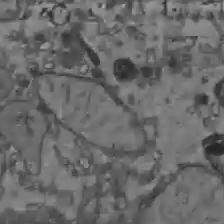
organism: C57BL Mouse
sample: Liver